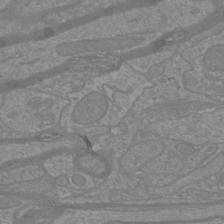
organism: Mouse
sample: Cortical neurons